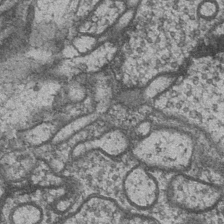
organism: Drosophila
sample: Optic medulla